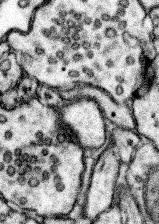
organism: Mouse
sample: Somatosensory cortex neuropil